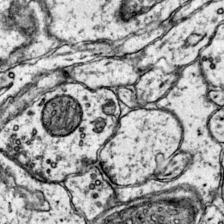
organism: Mouse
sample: Primary visual cortex